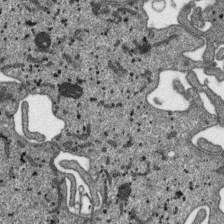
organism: Human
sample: Lung epithelial cells infected with SARS-CoV-2